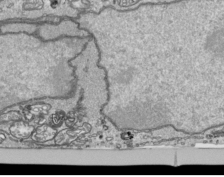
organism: Human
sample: Mitochondria in HCT116 cells